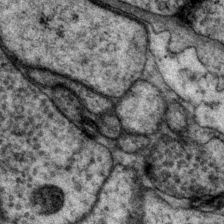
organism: P. pacificus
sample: Pharynx